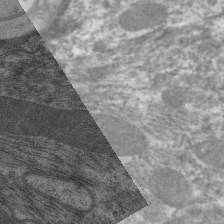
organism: C. elegans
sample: Pharynx